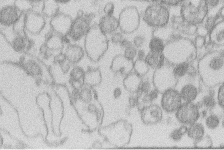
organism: Human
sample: Macrophage cells